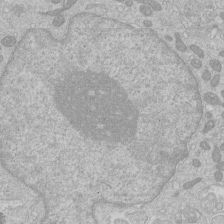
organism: Human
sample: Macrophage cells